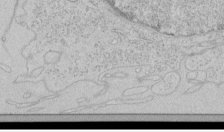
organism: Human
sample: Mitochondria in HCT116 cells